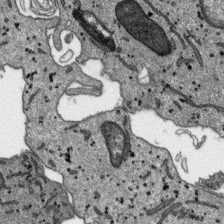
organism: Human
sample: Lung epithelial cells, uninfected (mock) control